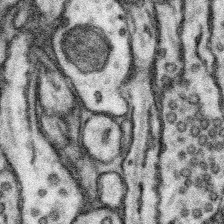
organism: Mouse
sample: Somatosensory cortex neuropil